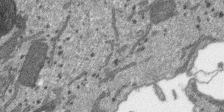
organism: Human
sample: Lung epithelial cells infected with SARS-CoV-2